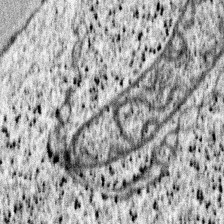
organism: Human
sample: HeLa cells